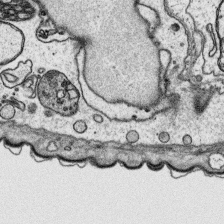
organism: Platynereis dumerilii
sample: Parapodia